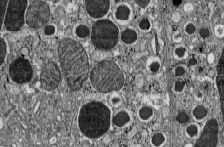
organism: C57BL Mouse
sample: Pancreatic islet